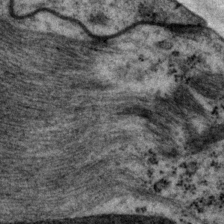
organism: P. pacificus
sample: Pharynx